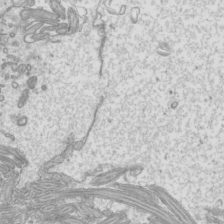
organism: Mouse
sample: Cilia; mouse epididymis